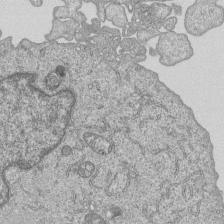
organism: Human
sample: MDA-MB-231 cells